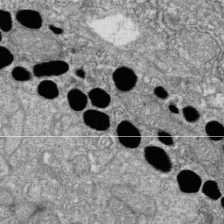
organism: Zebrafish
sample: Cilia; retinal pigment epithelium